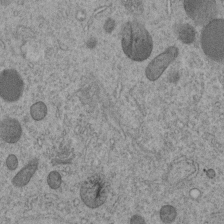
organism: C. elegans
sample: C. elegans embryo early stage